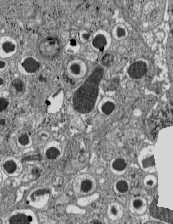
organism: C57BL Mouse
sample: Pancreatic islet